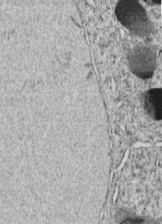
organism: C. elegans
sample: C. elegans embryo early stage